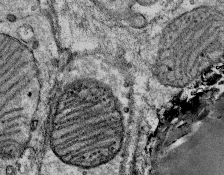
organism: Mouse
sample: Mouse Salivary gland